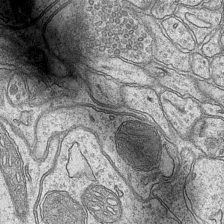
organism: Mouse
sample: CA1 Hippocampus